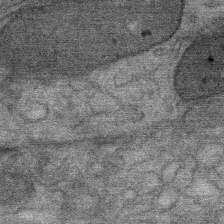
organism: Mouse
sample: Mouse Salivary gland